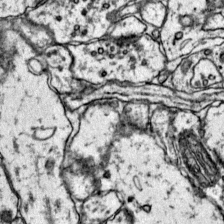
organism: Mouse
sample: Primary visual cortex